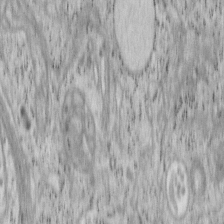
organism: Human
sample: HeLa cells